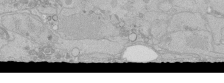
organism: Human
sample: Caco-2 cells